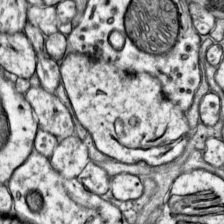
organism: Mouse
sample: Primary visual cortex